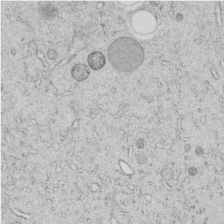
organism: C. elegans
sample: C. elegans embryo early stage